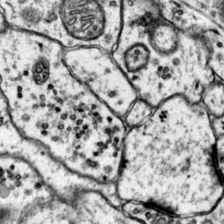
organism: Mouse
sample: Primary visual cortex